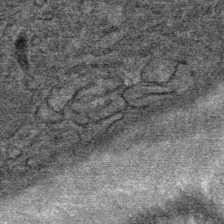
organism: Mouse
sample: Mouse Salivary gland